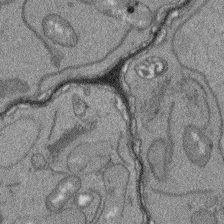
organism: Arabidopsis thaliana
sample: Root tip